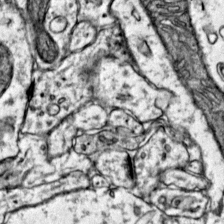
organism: Mouse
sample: Primary visual cortex